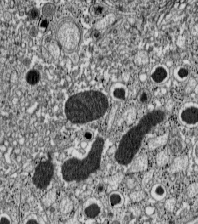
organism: C57BL Mouse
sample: Pancreatic islet